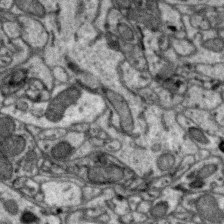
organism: Zebra finch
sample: Brain